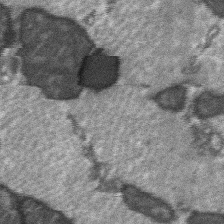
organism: C57BL Mouse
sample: Soleus